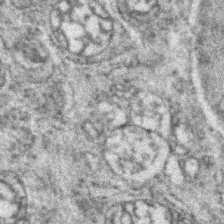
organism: Zebrafish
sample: Zebrafish embryo